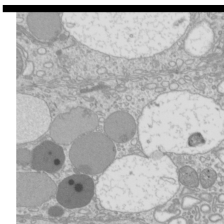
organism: Mouse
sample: Cilia; mouse epididymis